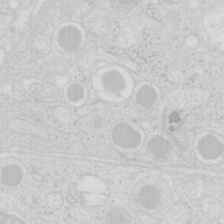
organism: Mouse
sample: Pancreas